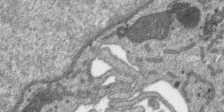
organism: Human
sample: Lung epithelial cells infected with SARS-CoV-2